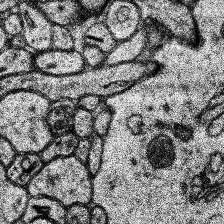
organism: Human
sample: Temporal Lobe